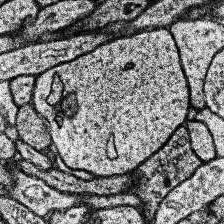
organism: Human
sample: Temporal Lobe